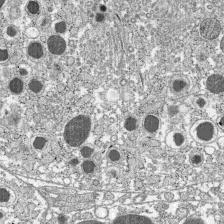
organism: C57BL Mouse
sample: Pancreatic islet